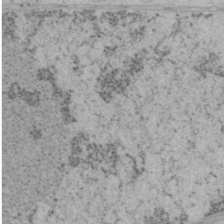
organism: Human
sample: HeLa cells